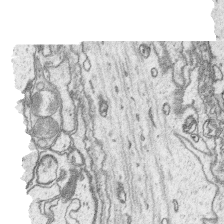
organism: Platynereis dumerilii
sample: Parapodia